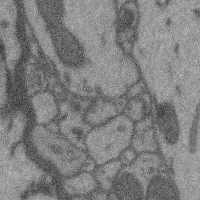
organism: Mouse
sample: Cerebral cortex